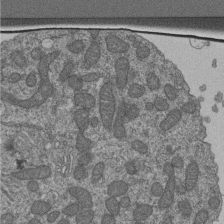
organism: Human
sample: Retinal organoid Rod and Cone cells